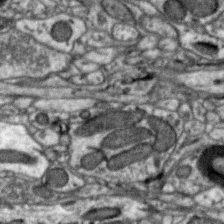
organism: Zebra finch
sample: Brain